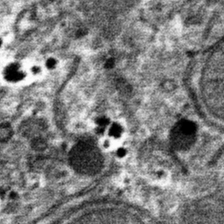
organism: Mouse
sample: Mouse hepatocytes